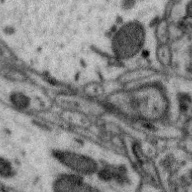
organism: Zebra finch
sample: Brain